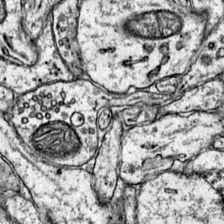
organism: Mouse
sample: Primary visual cortex